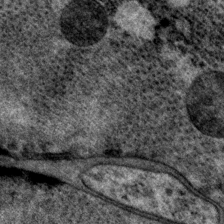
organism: P. pacificus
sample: Pharynx